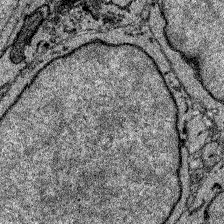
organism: Zebrafish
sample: Larval olfactory bulb